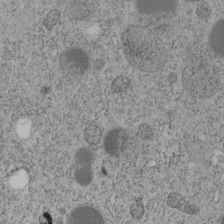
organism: C. elegans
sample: C. elegans embryo early stage